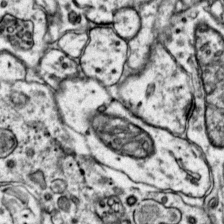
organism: Mouse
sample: Primary visual cortex